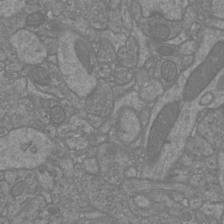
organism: Mouse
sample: Cortical neurons